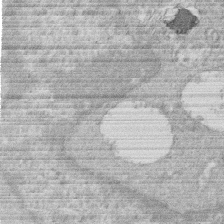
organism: Human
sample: Macrophage cells